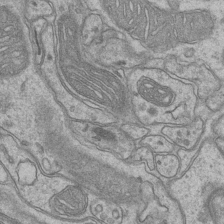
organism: Mouse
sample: CA1 Hippocampus